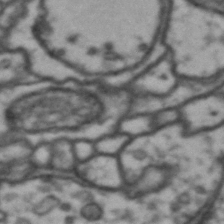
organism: Drosophila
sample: Brain